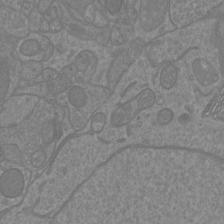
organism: Mouse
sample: Cortical neurons